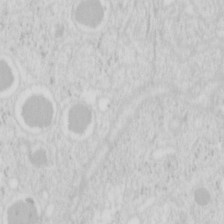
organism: Mouse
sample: Pancreas